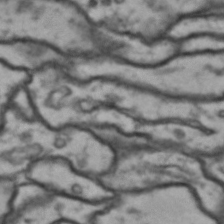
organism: Drosophila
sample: Brain